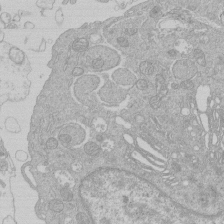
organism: Human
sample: Macrophage cells